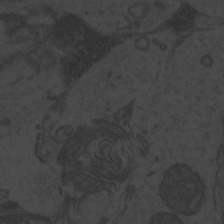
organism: Zebrafish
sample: Macrophage infected with Toxoplasma gondii